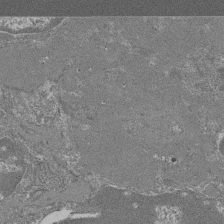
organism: Mouse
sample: Glomerulus